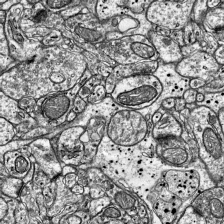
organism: Mouse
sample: Visual Cortex